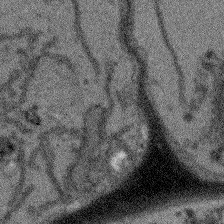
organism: Arabidopsis thaliana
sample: Root tip